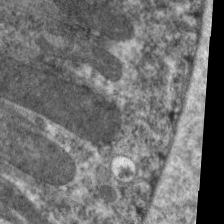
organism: C. elegans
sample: Pharynx